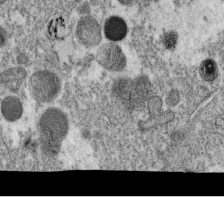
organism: C. elegans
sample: C. elegans oocyte; sperm cells